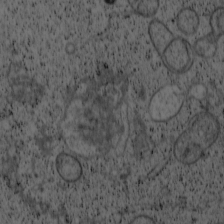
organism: African green monkey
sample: COS-7 cells